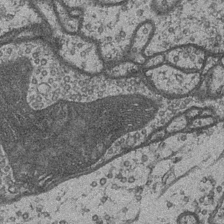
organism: Drosophila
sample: Optic medulla